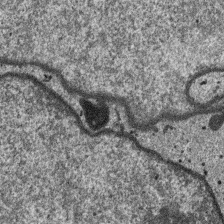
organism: Human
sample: Lung epithelial cells infected with SARS-CoV-2